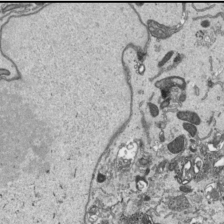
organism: Human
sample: Mitochondria in HCT116 cells